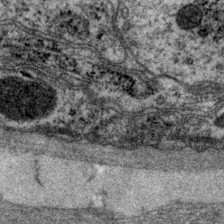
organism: P. pacificus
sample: Pharynx